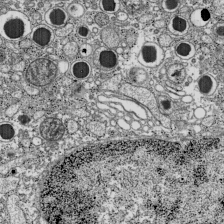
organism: C57BL Mouse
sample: Pancreatic islet